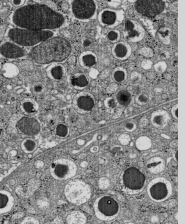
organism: C57BL Mouse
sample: Pancreatic islet